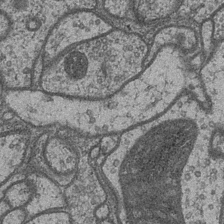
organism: Drosophila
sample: Optic medulla